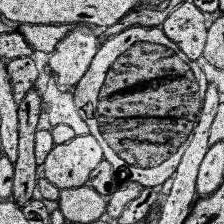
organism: Human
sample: Temporal Lobe